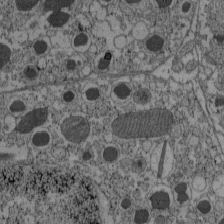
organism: C57BL Mouse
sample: Pancreatic islet